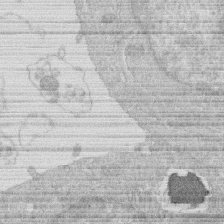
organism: Human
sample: Macrophage cells